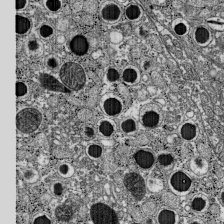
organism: C57BL Mouse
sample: Pancreatic islet